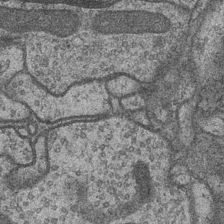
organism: Drosophila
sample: Optic medulla